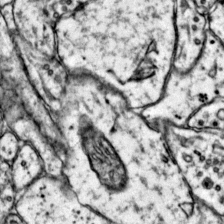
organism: Mouse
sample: Primary visual cortex